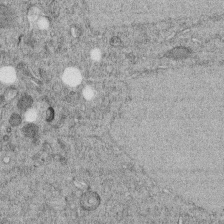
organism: C. elegans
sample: C. elegans embryo early stage